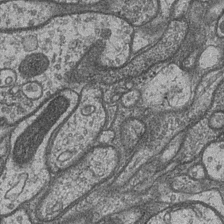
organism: Drosophila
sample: Optic medulla